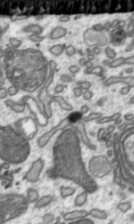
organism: Toxoplasma gondii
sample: Parasites in a vacuole inside a host cell